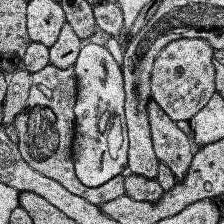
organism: Human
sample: Temporal Lobe